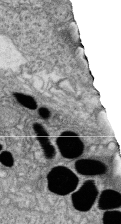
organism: Zebrafish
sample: Cilia; retinal pigment epithelium